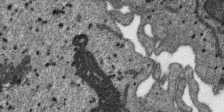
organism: Human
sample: Lung epithelial cells infected with SARS-CoV-2